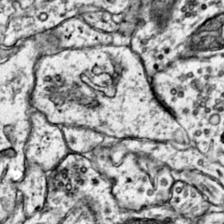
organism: Mouse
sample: Primary visual cortex